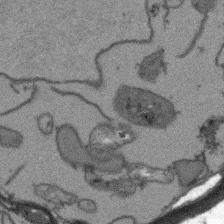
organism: Arabidopsis thaliana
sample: Root tip